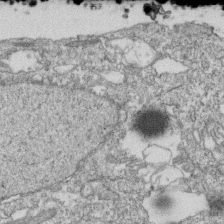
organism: Human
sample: HeLa cell HIV synapse